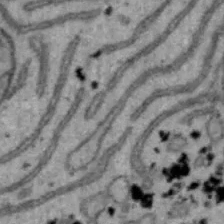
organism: Mouse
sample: Liver